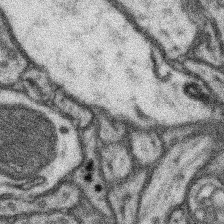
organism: Mouse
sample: Somatosensory cortex neuropil